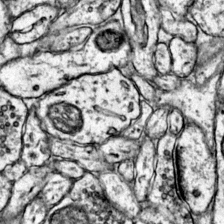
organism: Mouse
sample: Primary visual cortex